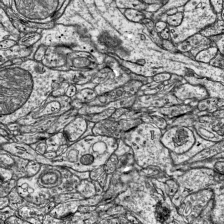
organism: Mouse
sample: Visual Cortex